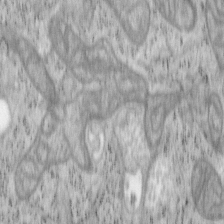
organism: Human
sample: HeLa cells